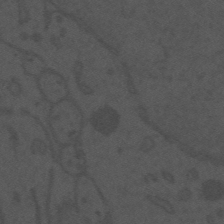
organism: Mouse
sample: Suprachiasmatic nucleus